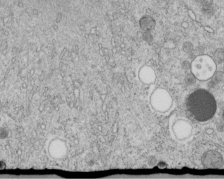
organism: C. elegans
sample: C. elegans embryo early stage